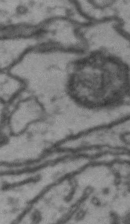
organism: Drosophila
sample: Brain